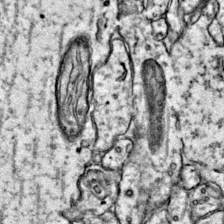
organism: Mouse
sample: Primary visual cortex